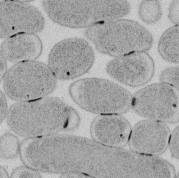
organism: E. coli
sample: Bacterial nucleoid